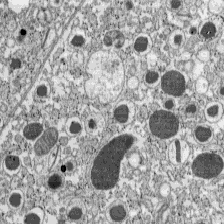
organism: C57BL Mouse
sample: Pancreatic islet